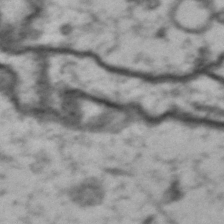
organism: Drosophila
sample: Brain